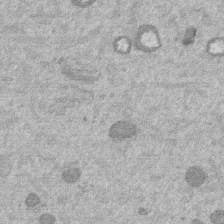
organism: Mouse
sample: Dividing mouse embryo 1 cell stage